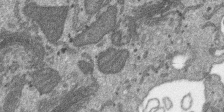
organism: Human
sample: Lung epithelial cells infected with SARS-CoV-2